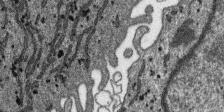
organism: Human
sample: Lung epithelial cells infected with SARS-CoV-2